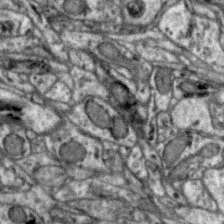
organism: Zebra finch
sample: Brain